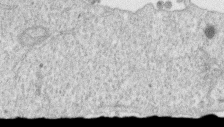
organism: Human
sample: HeLa cell HIV synapse